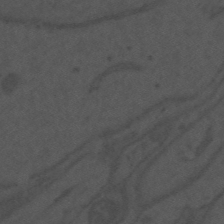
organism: Mouse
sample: Suprachiasmatic nucleus